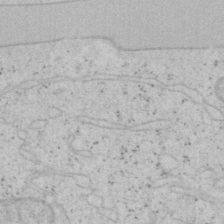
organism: Human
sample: HeLa cells